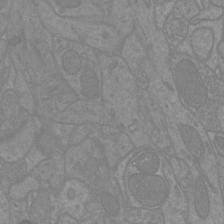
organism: Mouse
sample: Cortical neurons